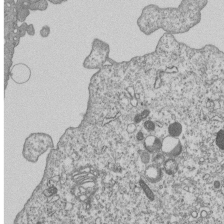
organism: Human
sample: MDA-MB-231 cells